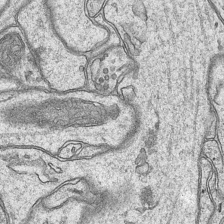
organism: Mouse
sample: CA1 Hippocampus